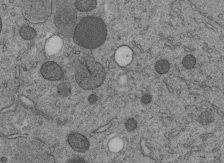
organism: C. elegans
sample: C. elegans embryo early stage